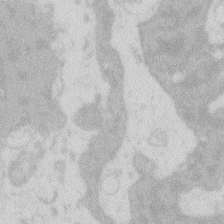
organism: Zebrafish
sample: Macrophage